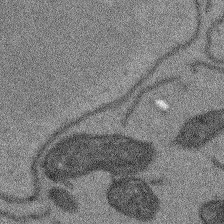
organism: Arabidopsis thaliana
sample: Root tip